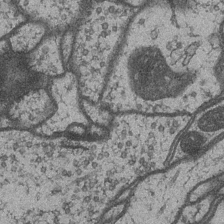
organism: Drosophila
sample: Optic medulla